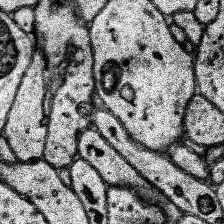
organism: Human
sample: Temporal Lobe